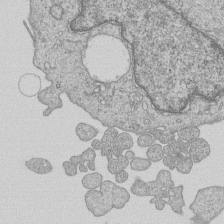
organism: Human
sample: MDA-MB-231 cells